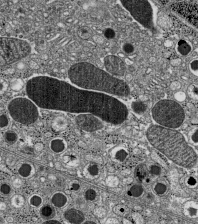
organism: C57BL Mouse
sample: Pancreatic islet